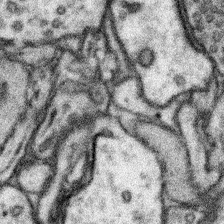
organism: Mouse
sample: Somatosensory cortex neuropil